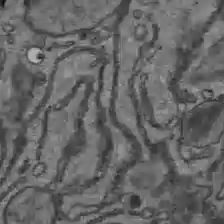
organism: C57BL Mouse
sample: Liver